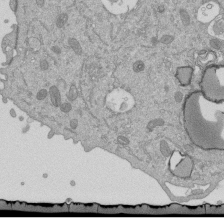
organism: Mouse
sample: ED-1 cell nuclei; centrioles